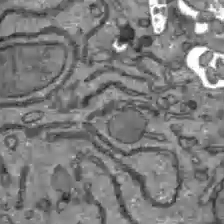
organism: C57BL Mouse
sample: Liver